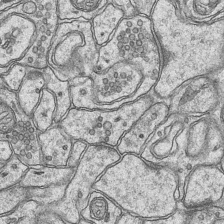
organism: Mouse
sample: CA1 Hippocampus